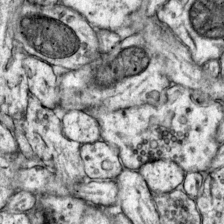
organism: Mouse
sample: Primary visual cortex